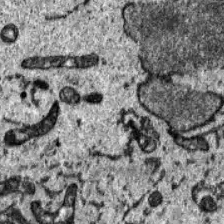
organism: Human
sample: HeLa cells